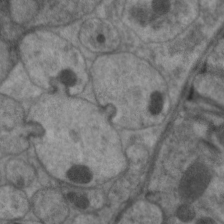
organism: C. elegans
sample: Pharynx